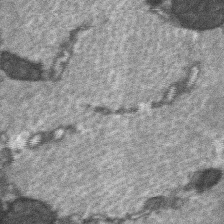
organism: C57BL Mouse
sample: Soleus